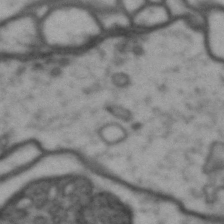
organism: Drosophila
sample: Brain